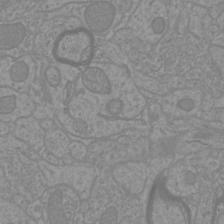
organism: Mouse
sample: Cortical neurons